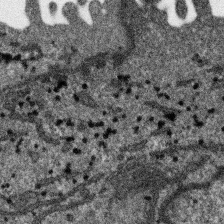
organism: Human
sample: Lung epithelial cells infected with SARS-CoV-2